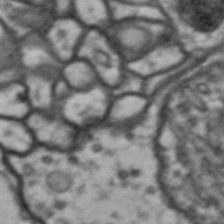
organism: Drosophila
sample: Brain